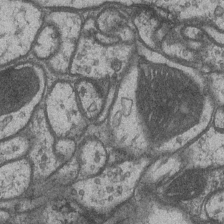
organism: Drosophila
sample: Optic medulla